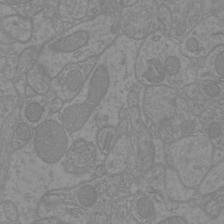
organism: Mouse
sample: Cortical neurons